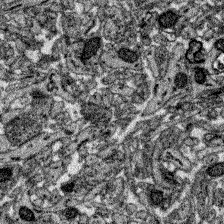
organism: Zebrafish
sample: Larval olfactory bulb